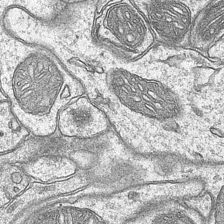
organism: Mouse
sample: CA1 Hippocampus